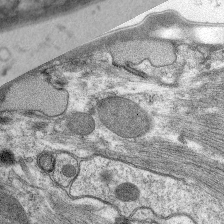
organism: C. elegans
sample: Pharynx